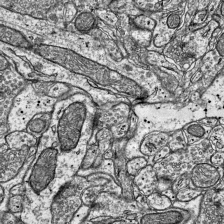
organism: Mouse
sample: Visual Cortex